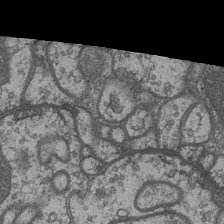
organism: Drosophila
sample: Optic medulla